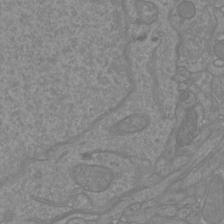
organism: Mouse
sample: Cortical neurons